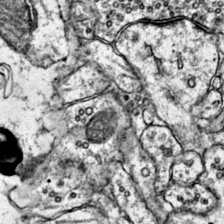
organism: Mouse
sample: Primary visual cortex